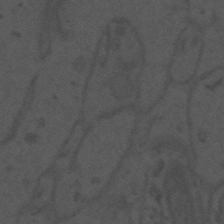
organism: Mouse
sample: Suprachiasmatic nucleus